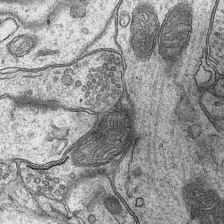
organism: Mouse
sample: CA1 Hippocampus